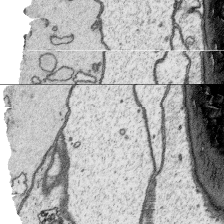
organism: Platynereis dumerilii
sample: Parapodia